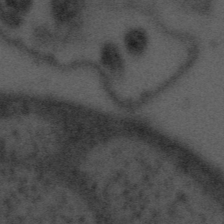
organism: Tuwongella immobilis